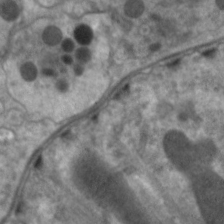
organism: C. elegans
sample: Pharynx